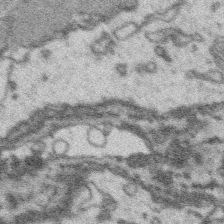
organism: Platynereis dumerilii